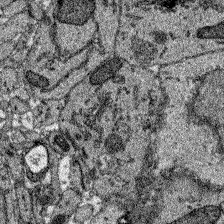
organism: Zebrafish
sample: Larval olfactory bulb